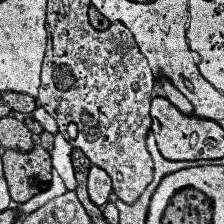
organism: Human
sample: Temporal Lobe